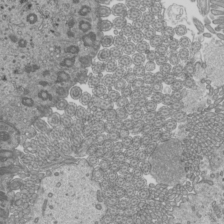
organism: Mouse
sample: Cilia; mouse epididymis